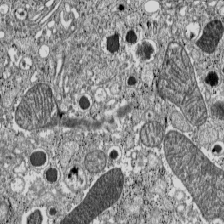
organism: C57BL Mouse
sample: Pancreatic islet